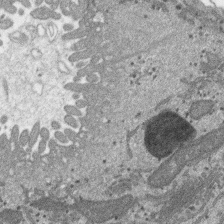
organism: Human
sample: Lung epithelial cells infected with SARS-CoV-2